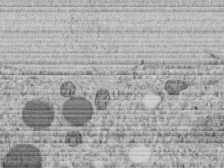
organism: C. elegans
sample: C. elegans embryo early stage